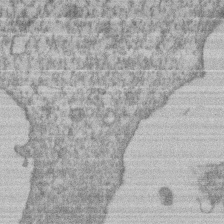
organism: Mouse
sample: T cell stromal cell synapse